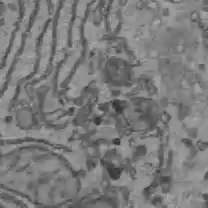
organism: C57BL Mouse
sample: Liver